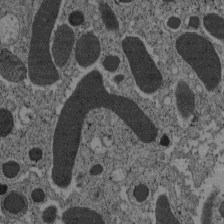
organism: C57BL Mouse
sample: Pancreatic islet